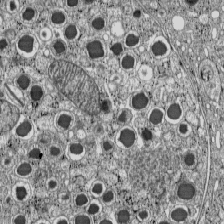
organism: C57BL Mouse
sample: Pancreatic islet